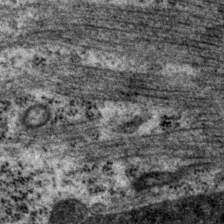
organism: P. pacificus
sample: Pharynx